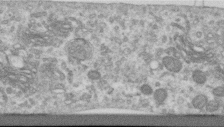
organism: Human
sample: Centriole in RPE cells